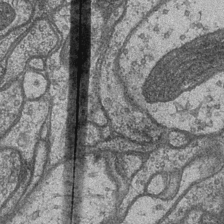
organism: Drosophila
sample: Optic medulla